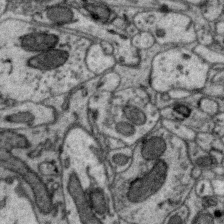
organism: Zebra finch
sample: Brain